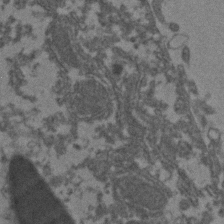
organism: Zebrafish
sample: Zebrafish embryo